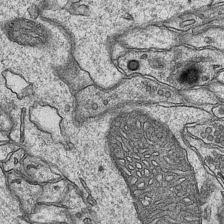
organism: Mouse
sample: CA1 Hippocampus